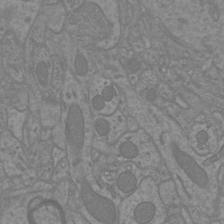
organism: Mouse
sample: Cortical neurons